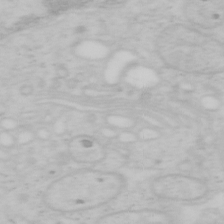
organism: Mouse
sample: OT-I killer T cells with ID8 ovarian cancer cells